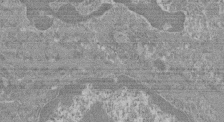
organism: Mouse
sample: Glomerulus